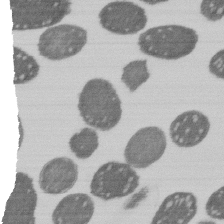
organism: E. coli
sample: Bacterial nucleoid